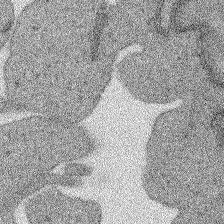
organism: Human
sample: HeLa cells